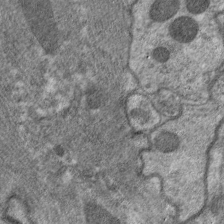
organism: C. elegans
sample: Pharynx